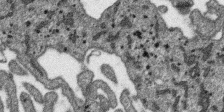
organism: Human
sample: Lung epithelial cells infected with SARS-CoV-2